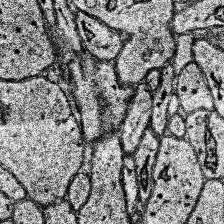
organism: Human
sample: Temporal Lobe